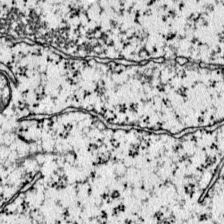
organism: Mouse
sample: Primary visual cortex